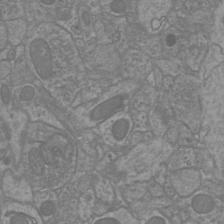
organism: Mouse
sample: Cortical neurons